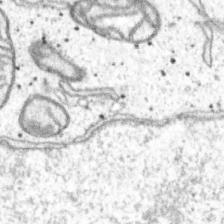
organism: Human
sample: HeLa cells